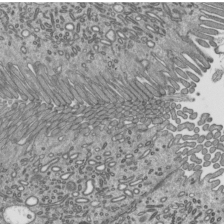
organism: Mouse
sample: Mouse epididymis efferent ductule cilia